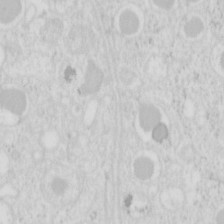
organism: Mouse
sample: Pancreas